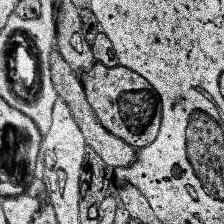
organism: Human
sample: Temporal Lobe